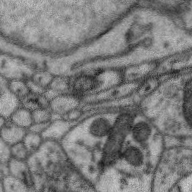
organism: Zebra finch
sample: Brain